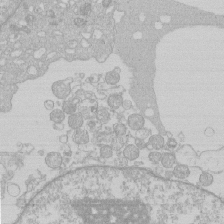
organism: Human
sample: Macrophage cells